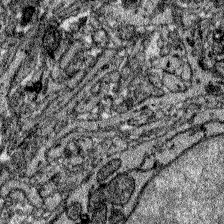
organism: Zebrafish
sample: Larval olfactory bulb